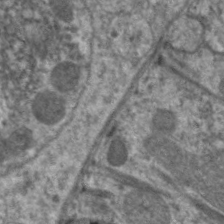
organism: C. elegans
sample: Pharynx